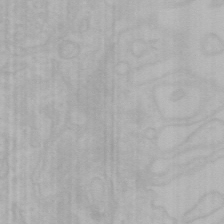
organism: Mouse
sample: Choroid plexus